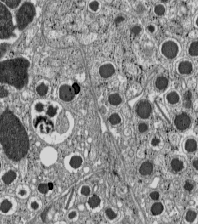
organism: C57BL Mouse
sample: Pancreatic islet